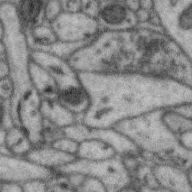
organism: Zebra finch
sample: Brain